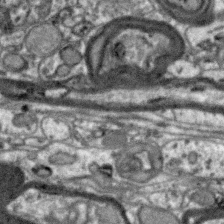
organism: Zebra finch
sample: Brain